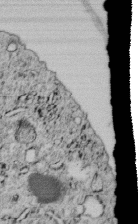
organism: C. elegans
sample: C. elegans embryo early stage